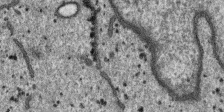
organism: Human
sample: Lung epithelial cells infected with SARS-CoV-2